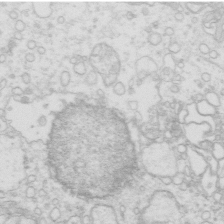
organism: Mouse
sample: Multiciliated cells